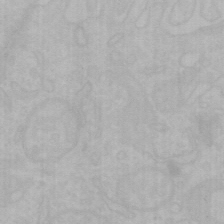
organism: Mouse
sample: Choroid plexus